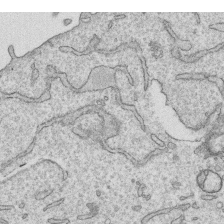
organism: Human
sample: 1205lu cells